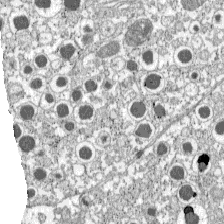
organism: C57BL Mouse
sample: Pancreatic islet